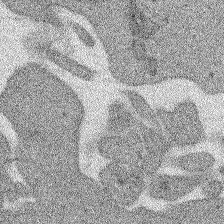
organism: Human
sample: HeLa cells